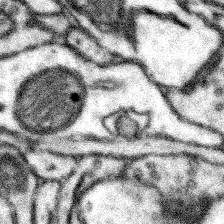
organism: Mouse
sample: Somatosensory cortex neuropil